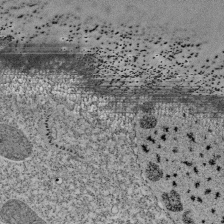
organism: Tetrahymena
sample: Cilia in tetrahymena